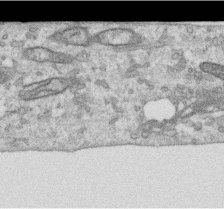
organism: Human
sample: Centriole in RPE cells